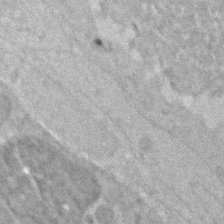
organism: Zebrafish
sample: Zebrafish embryo